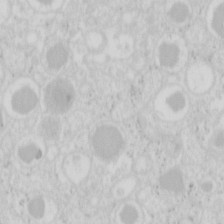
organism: Mouse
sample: Pancreas